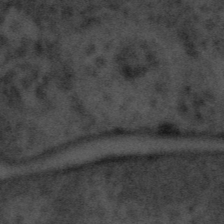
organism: Tuwongella immobilis